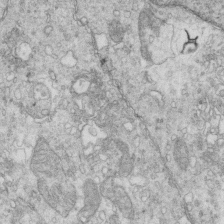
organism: Mouse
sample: Multiciliated cells